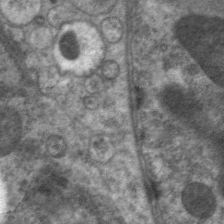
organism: C. elegans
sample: Pharynx